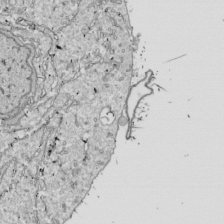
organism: Drosophila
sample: Cell division; meiosis; drosophila spermatocytes